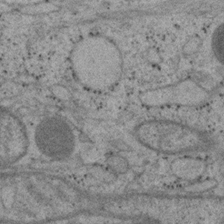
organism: Human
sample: HeLa cells